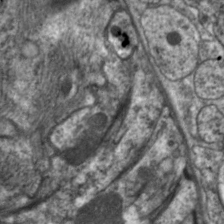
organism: C. elegans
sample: Pharynx